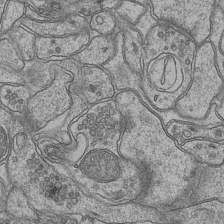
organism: Mouse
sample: CA1 Hippocampus